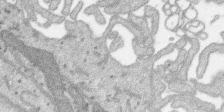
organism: Human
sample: Lung epithelial cells infected with SARS-CoV-2